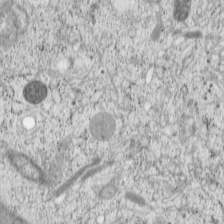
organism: African green monkey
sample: COS-7 cells